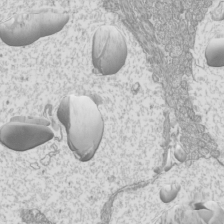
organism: Mouse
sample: Cilia; mouse epididymis